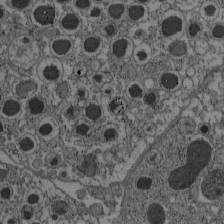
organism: C57BL Mouse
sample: Pancreatic islet